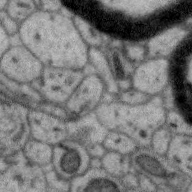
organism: Zebra finch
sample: Brain